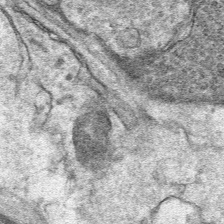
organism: Mouse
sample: Mouse Salivary gland